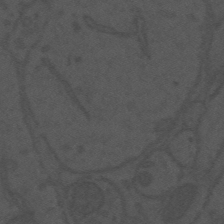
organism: Mouse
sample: Suprachiasmatic nucleus